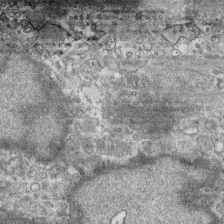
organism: Human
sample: CRL-1474